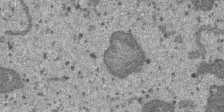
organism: Human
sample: Lung epithelial cells infected with SARS-CoV-2